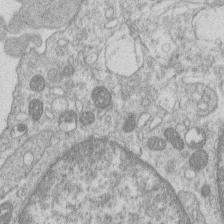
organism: Human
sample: Macrophage cells